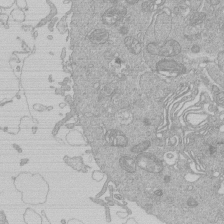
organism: Human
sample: Macrophage cells